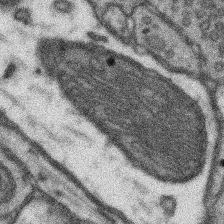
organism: Mouse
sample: Somatosensory cortex neuropil